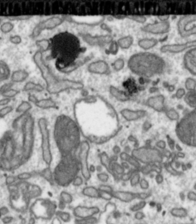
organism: Toxoplasma gondii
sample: Parasites in a vacuole inside a host cell